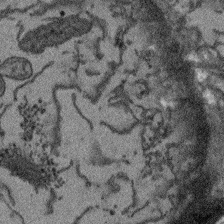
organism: Arabidopsis thaliana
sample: Root tip